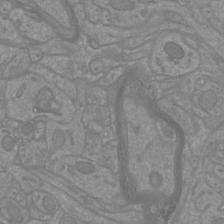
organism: Mouse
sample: Cortical neurons